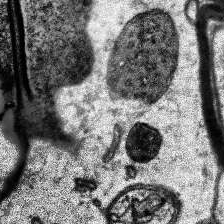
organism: Human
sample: Temporal Lobe